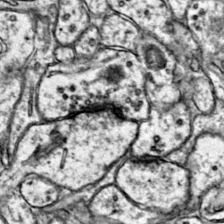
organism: Mouse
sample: Primary visual cortex